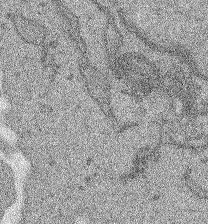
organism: Human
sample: HeLa cells